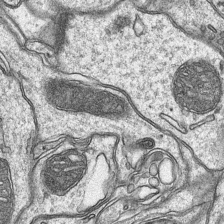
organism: Mouse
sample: CA1 Hippocampus